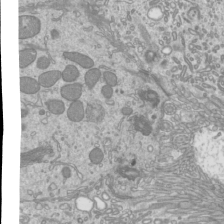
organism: Mouse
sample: Cilia; mouse epididymis